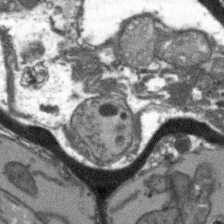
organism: Arabidopsis thaliana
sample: Root tip